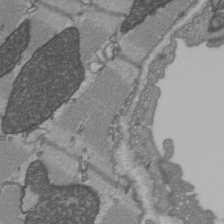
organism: C57BL Mouse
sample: Heart